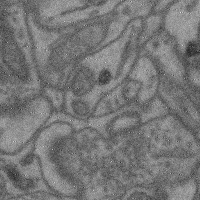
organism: Mouse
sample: Cerebral cortex